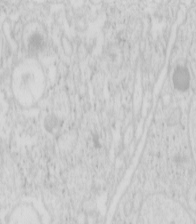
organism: Mouse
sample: Pancreas